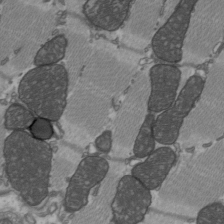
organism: C57BL Mouse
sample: Heart